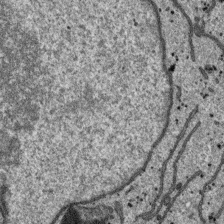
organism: Human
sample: Lung epithelial cells, uninfected (mock) control